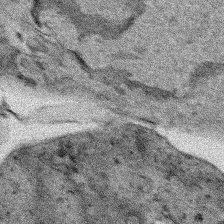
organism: Human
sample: Mitochondria in HCT116 cells